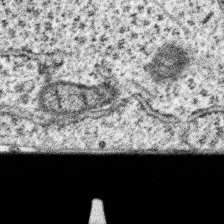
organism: Human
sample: HeLa cells